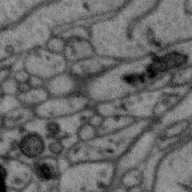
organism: Zebra finch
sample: Brain